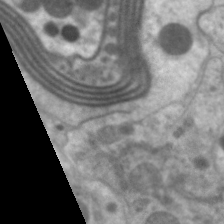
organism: C. elegans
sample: Pharynx